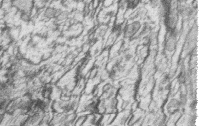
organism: Zebrafish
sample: synaptic ribbons in rod cells and cone cells